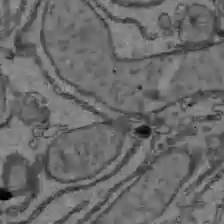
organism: C57BL Mouse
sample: Liver